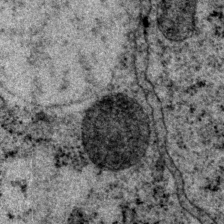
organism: P. pacificus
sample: Pharynx